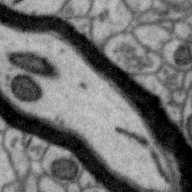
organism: Zebra finch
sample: Brain